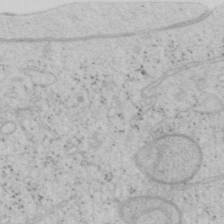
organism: Human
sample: HeLa cells